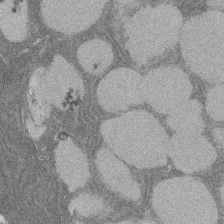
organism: Rat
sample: Salivary granule